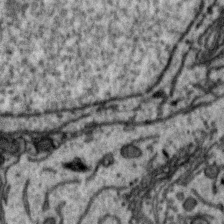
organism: Zebra finch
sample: Brain